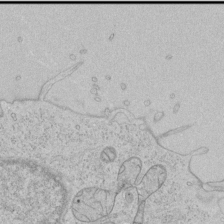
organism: Human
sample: Mitochondria in HCT116 cells